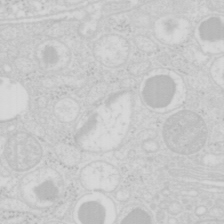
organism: Mouse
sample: Pancreas